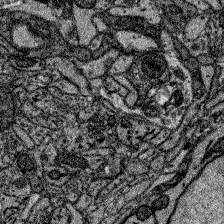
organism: Zebrafish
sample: Larval olfactory bulb